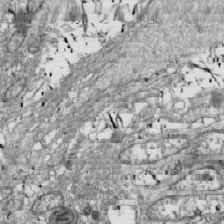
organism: Drosophila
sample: Cell division; meiosis; drosophila spermatocytes